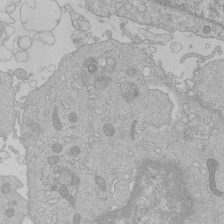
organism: Human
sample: Macrophage cells